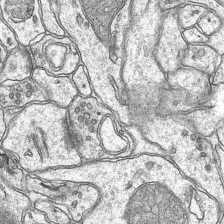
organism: Mouse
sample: CA1 Hippocampus